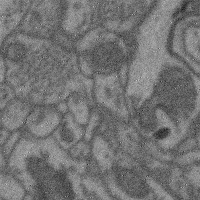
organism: Mouse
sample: Cerebral cortex